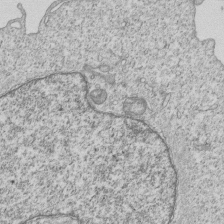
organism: Human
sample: MDA-MB-231 cells